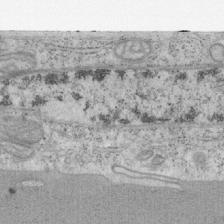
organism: Human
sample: HeLa cells